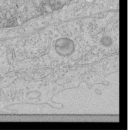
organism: Human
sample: Mitochondria in HCT116 cells